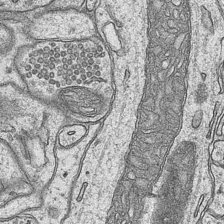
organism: Mouse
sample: CA1 Hippocampus